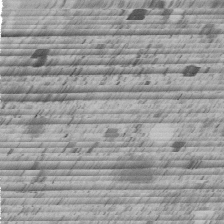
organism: C. elegans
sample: C. elegans embryo early stage